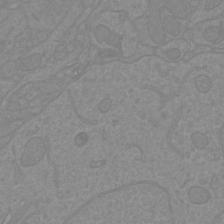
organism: Mouse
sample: Cortical neurons